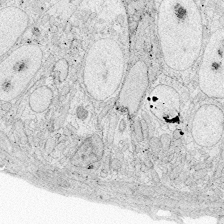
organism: Zebrafish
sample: Whole-Brain